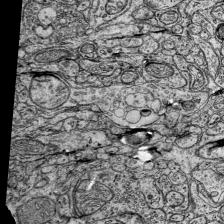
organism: Mouse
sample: Visual Cortex